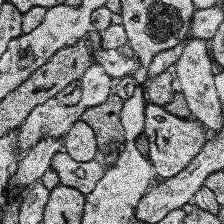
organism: Human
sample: Temporal Lobe